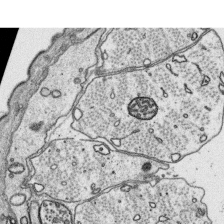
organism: Platynereis dumerilii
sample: Parapodia